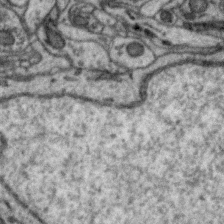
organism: Zebra finch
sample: Brain